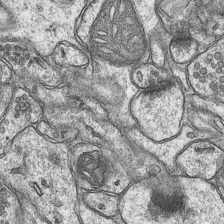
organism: Mouse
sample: CA1 Hippocampus